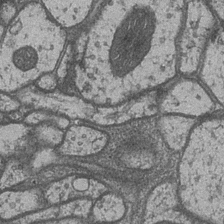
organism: Drosophila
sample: Optic medulla